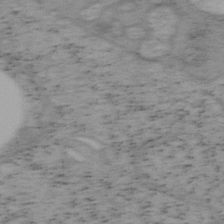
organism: Mouse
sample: OT-I killer T cells with ID8 ovarian cancer cells